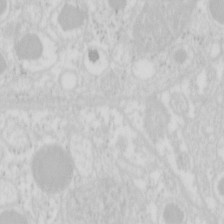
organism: Mouse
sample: Pancreas